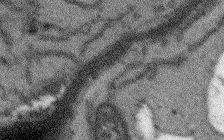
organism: Arabidopsis thaliana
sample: Root tip